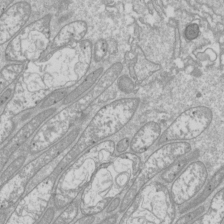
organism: Drosophila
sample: Cell division; meiosis; drosophila spermatocytes